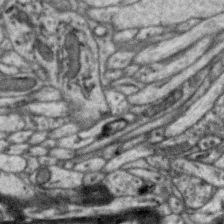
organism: Zebra finch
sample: Brain